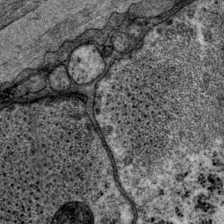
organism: P. pacificus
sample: Pharynx